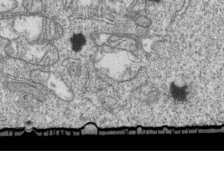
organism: Human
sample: HeLa cell HIV synapse